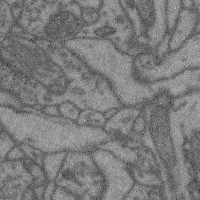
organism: Mouse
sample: Cerebral cortex